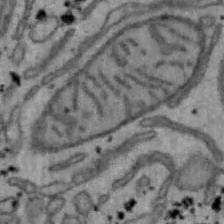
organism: Mouse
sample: Liver